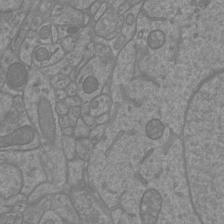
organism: Mouse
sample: Cortical neurons